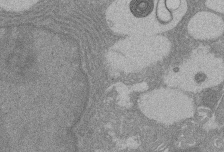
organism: Rat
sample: Salivary granule